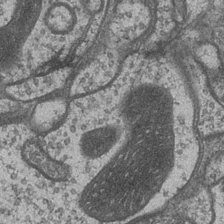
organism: Drosophila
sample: Optic medulla